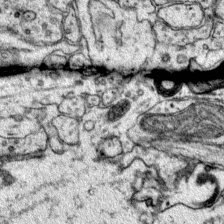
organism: Mouse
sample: Primary visual cortex